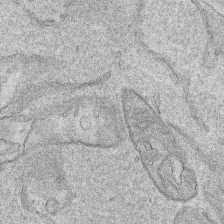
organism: Human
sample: Mitochondria in HCT116 cells